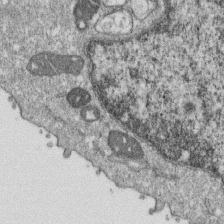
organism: African green monkey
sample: Vero E6 cells infected with SARS-CoV-2